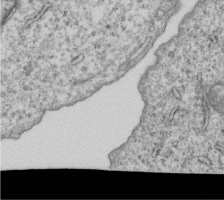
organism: Human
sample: MDA-MB-231 cells